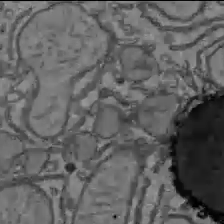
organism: C57BL Mouse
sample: Liver